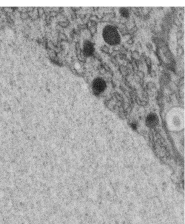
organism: C. elegans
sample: C. elegans oocyte; sperm cells